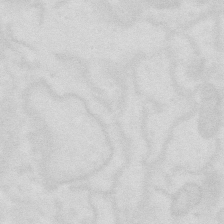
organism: Human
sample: HeLa cells